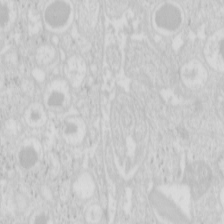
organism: Mouse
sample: Pancreas